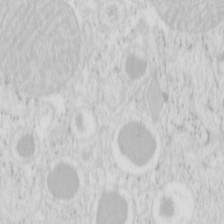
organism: Mouse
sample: Pancreas